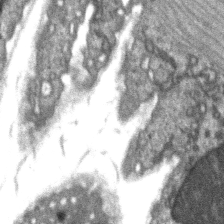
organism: C57BL Mouse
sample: Soleus